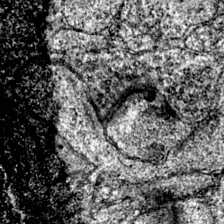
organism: Mouse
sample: Primary visual cortex